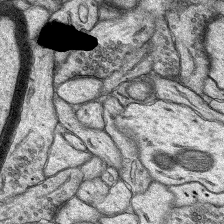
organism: Rat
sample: Hippocampus